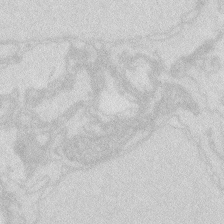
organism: Zebrafish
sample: Macrophage